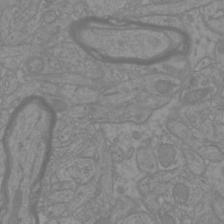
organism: Mouse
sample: Cortical neurons